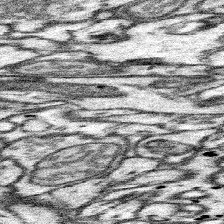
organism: Mouse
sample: Somatosensory cortex neuropil